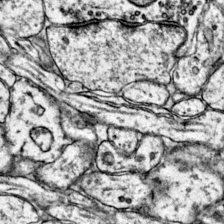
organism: Mouse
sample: Primary visual cortex